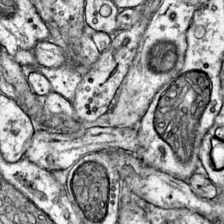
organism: Mouse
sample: Primary visual cortex